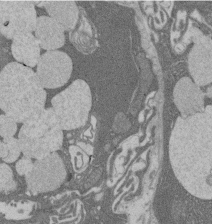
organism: Rat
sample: Salivary granule